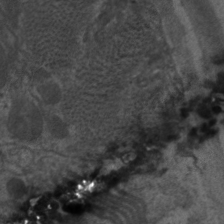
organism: C. elegans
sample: Pharynx